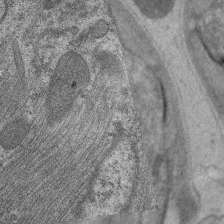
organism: C. elegans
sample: Pharynx